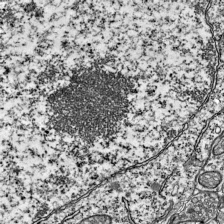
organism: Mouse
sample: Visual Cortex